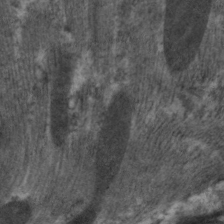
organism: C. elegans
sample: Pharynx